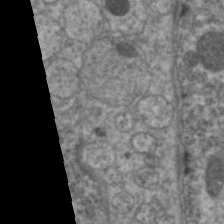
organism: C. elegans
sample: Pharynx